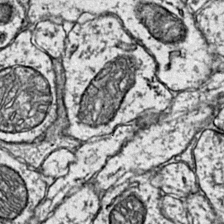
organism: Mouse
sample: Primary visual cortex